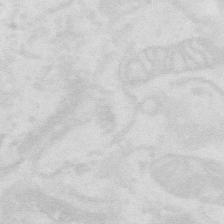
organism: Human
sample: HeLa cells